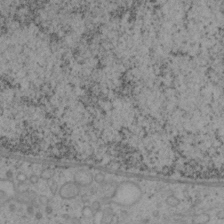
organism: Human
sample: HeLa cells